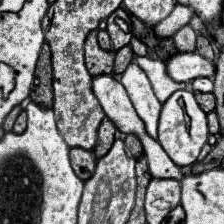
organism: Human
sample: Temporal Lobe